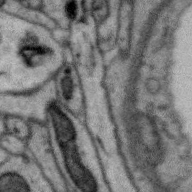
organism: Zebra finch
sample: Brain